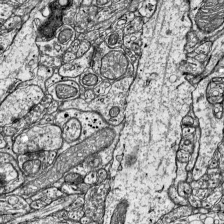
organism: Mouse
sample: Visual Cortex